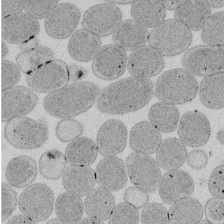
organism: E. coli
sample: Bacterial nucleoid